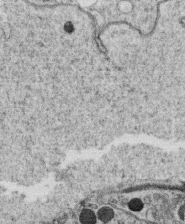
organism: C. elegans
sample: C. elegans oocyte; sperm cells